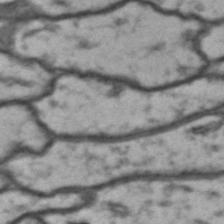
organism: Drosophila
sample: Brain